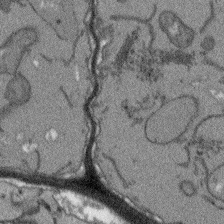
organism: Arabidopsis thaliana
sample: Root tip